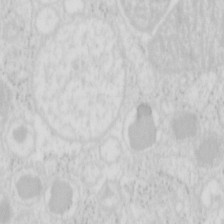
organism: Mouse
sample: Pancreas